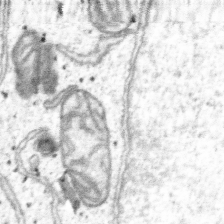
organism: Human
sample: HeLa cells